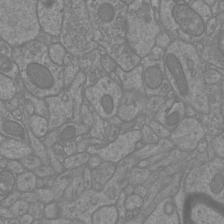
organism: Mouse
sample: Cortical neurons